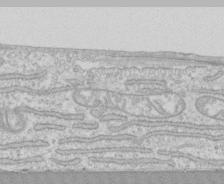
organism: Human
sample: CRL-1474